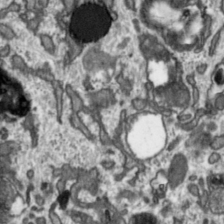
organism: Toxoplasma gondii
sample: Parasites in a vacuole inside a host cell